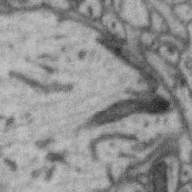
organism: Zebra finch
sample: Brain